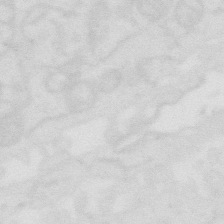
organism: Human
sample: HeLa cells